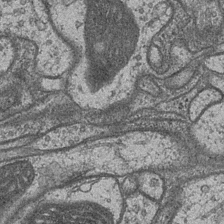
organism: Drosophila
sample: Optic medulla